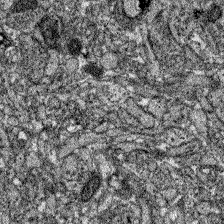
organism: Zebrafish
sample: Larval olfactory bulb